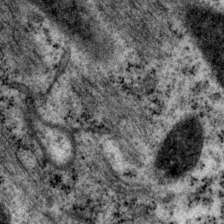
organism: P. pacificus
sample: Pharynx